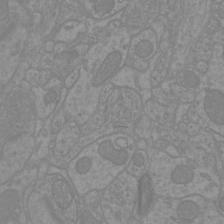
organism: Mouse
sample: Cortical neurons